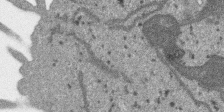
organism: Human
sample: Lung epithelial cells infected with SARS-CoV-2